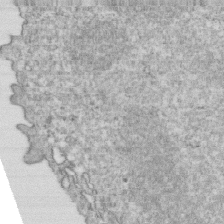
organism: Mouse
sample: Activated OT-1 CD8+ T cells